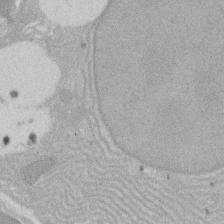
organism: Rat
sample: Salivary granule